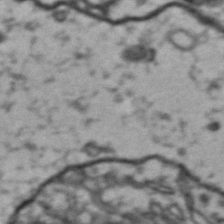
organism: Drosophila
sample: Brain